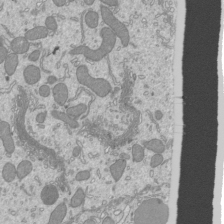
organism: Mouse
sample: Cilia; mouse epididymis